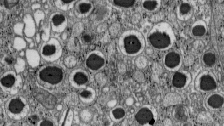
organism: C57BL Mouse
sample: Pancreatic islet